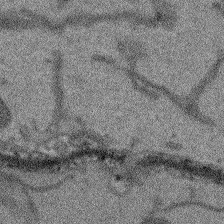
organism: Arabidopsis thaliana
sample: Root tip